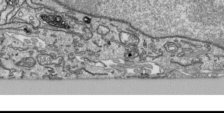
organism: Human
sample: Mitochondria in HCT116 cells